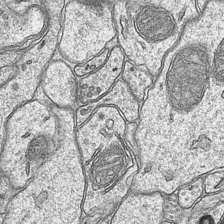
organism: Mouse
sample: CA1 Hippocampus